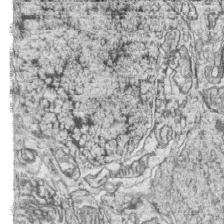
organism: Zebrafish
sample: synaptic ribbons in rod cells and cone cells